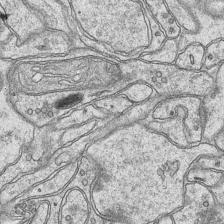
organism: Mouse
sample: CA1 Hippocampus